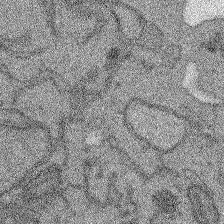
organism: Human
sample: HeLa cells